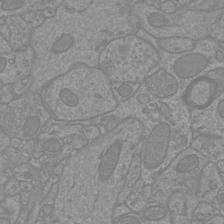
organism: Mouse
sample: Cortical neurons